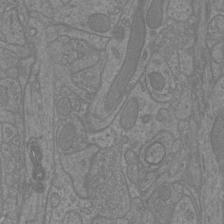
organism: Mouse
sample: Cortical neurons